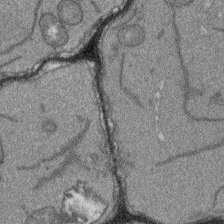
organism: Arabidopsis thaliana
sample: Root tip